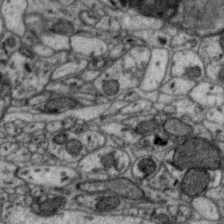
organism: Zebra finch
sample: Brain